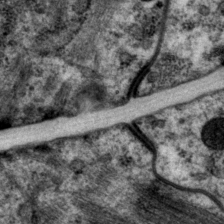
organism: P. pacificus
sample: Pharynx